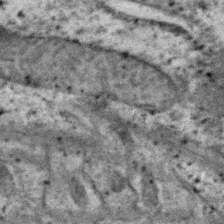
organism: C. elegans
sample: C. elegans embryo